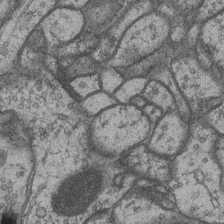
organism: Drosophila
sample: Optic medulla